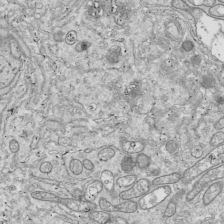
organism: Drosophila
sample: Cell division; meiosis; drosophila spermatocytes